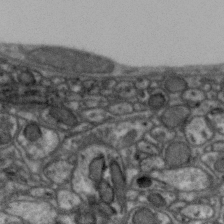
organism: Zebra finch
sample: Brain